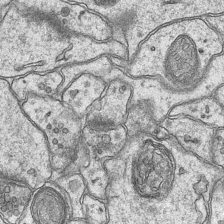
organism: Mouse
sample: CA1 Hippocampus